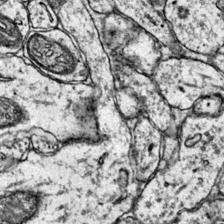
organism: Mouse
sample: Primary visual cortex